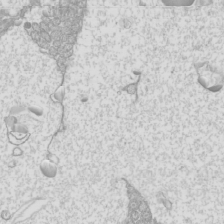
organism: Mouse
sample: Cilia; mouse epididymis